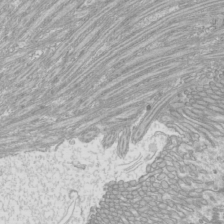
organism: Mouse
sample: Cilia; mouse epididymis